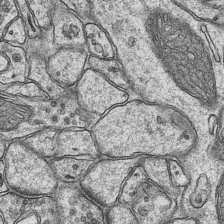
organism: Mouse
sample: CA1 Hippocampus